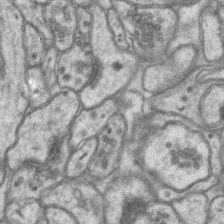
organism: Mouse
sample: CA1 Hippocampus